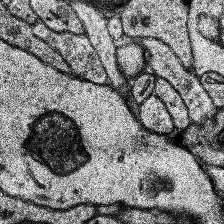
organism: Human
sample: Temporal Lobe